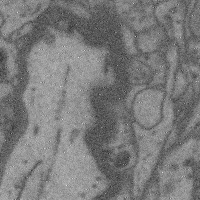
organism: Mouse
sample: Cerebral cortex